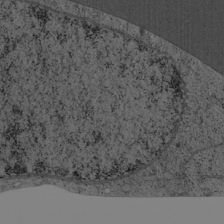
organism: African green monkey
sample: COS-7 cells